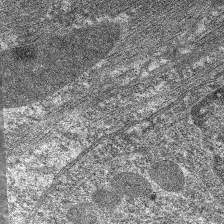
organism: C. elegans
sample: Pharynx